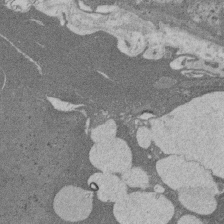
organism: Rat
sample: Salivary granule